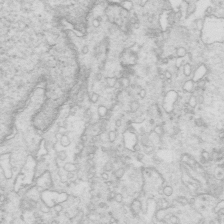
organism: Mouse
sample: Multiciliated cells